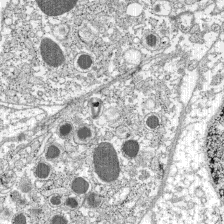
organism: C57BL Mouse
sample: Pancreatic islet